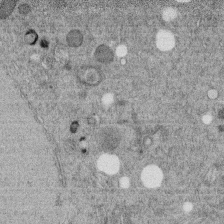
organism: C. elegans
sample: C. elegans embryo early stage